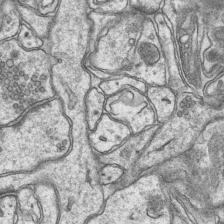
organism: Mouse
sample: CA1 Hippocampus